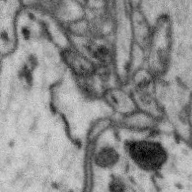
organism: Zebra finch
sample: Brain